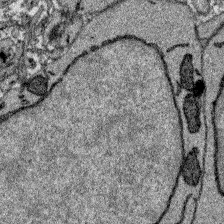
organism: Zebrafish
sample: Larval olfactory bulb